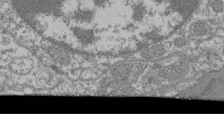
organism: Mouse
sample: Glomerulus